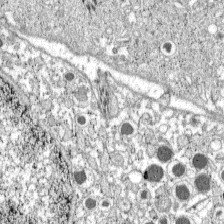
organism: C57BL Mouse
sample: Pancreatic islet